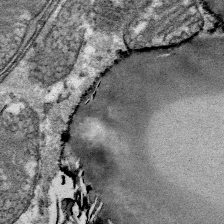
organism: Mouse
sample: Mouse Salivary gland